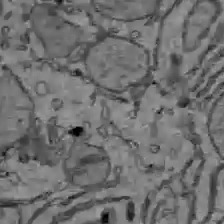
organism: C57BL Mouse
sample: Liver